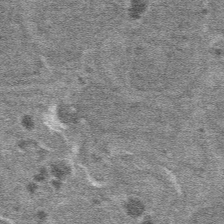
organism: Mouse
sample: Mouse hepatocytes